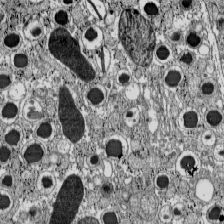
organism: C57BL Mouse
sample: Pancreatic islet